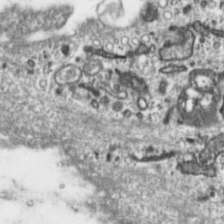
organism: Toxoplasma gondii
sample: Parasites in a vacuole inside a host cell